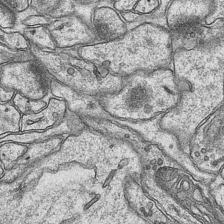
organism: Mouse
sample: CA1 Hippocampus